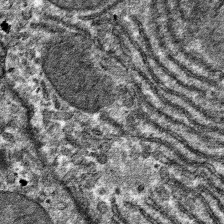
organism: Mouse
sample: Mouse hepatocytes